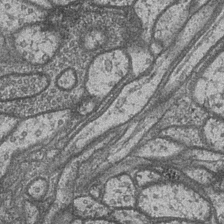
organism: Drosophila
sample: Optic medulla